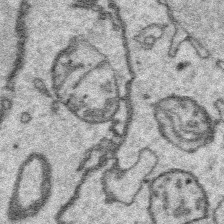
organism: Platynereis dumerilii